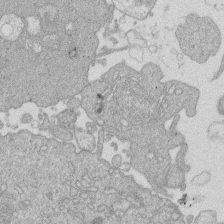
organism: Human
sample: Macrophage cells